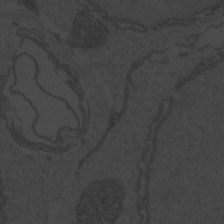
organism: Zebrafish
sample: Macrophage infected with Toxoplasma gondii